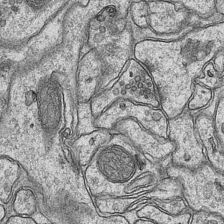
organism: Mouse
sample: CA1 Hippocampus